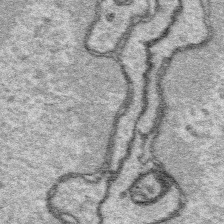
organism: Platynereis dumerilii